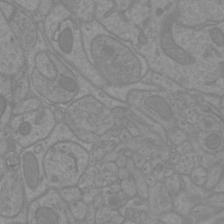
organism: Mouse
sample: Cortical neurons